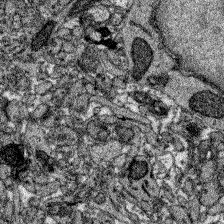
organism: Zebrafish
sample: Larval olfactory bulb